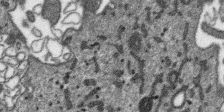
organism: Human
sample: Lung epithelial cells infected with SARS-CoV-2